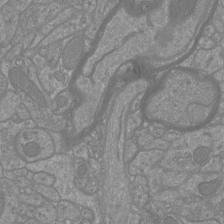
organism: Mouse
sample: Cortical neurons